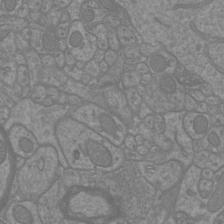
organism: Mouse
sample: Cortical neurons